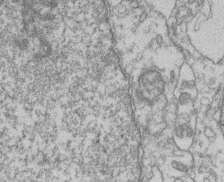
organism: Mouse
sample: T cell stromal cell synapse